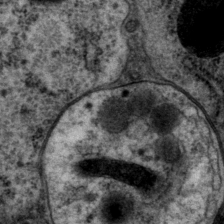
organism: P. pacificus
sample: Pharynx